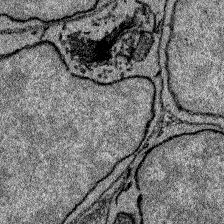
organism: Zebrafish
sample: Larval olfactory bulb